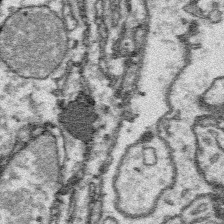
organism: Platynereis dumerilii